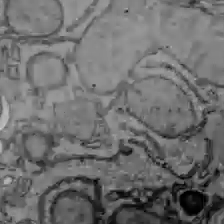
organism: C57BL Mouse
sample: Liver